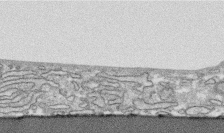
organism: Human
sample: CRL-1474